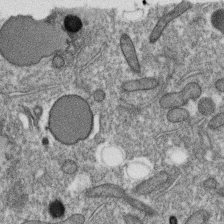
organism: C. elegans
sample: C. elegans oocyte; sperm cells